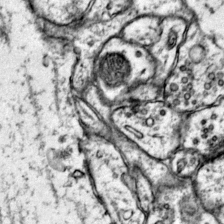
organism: Mouse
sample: Primary visual cortex